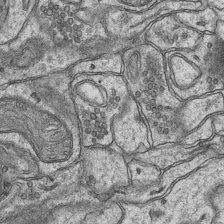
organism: Mouse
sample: CA1 Hippocampus